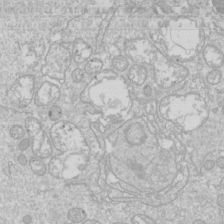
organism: Drosophila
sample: Cell division; meiosis; drosophila spermatocytes